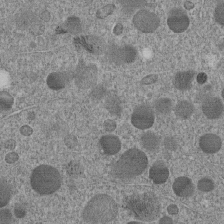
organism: C. elegans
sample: C. elegans embryo early stage